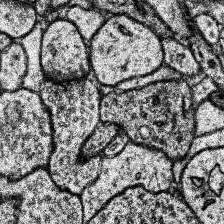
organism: Human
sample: Temporal Lobe